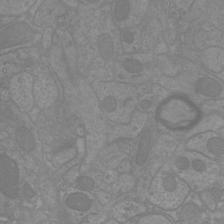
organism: Mouse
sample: Cortical neurons